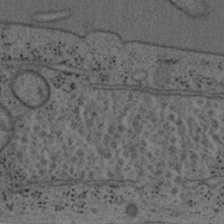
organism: Human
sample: HeLa cells